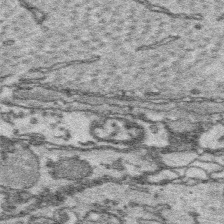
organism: Platynereis dumerilii